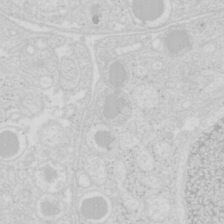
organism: Mouse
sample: Pancreas